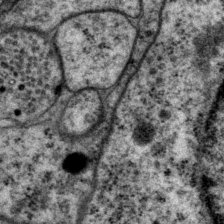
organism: P. pacificus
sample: Pharynx